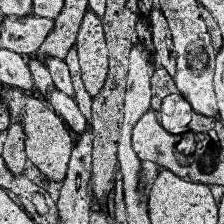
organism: Human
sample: Temporal Lobe